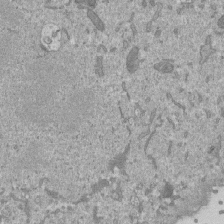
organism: Mouse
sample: ED-1 cell nuclei; centrioles